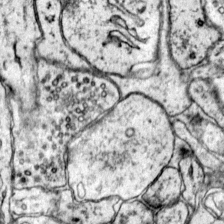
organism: Mouse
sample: Primary visual cortex